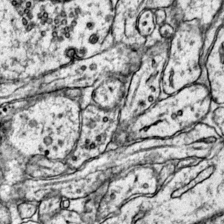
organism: Mouse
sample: Primary visual cortex